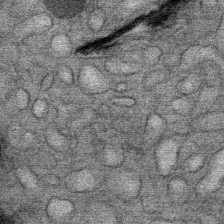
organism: Mouse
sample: Mouse Salivary gland